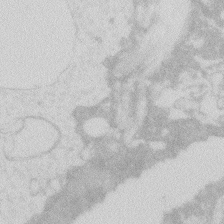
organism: Zebrafish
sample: Macrophage